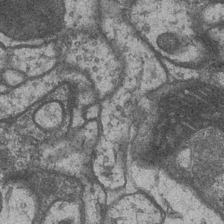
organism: Drosophila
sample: Optic medulla